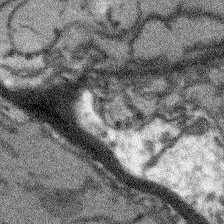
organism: Arabidopsis thaliana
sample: Root tip